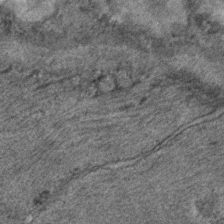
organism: C. elegans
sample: C. elegans embryo